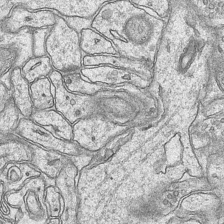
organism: Mouse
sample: CA1 Hippocampus